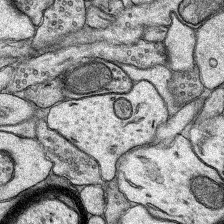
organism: Rat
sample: Hippocampus